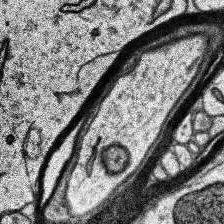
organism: Human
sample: Temporal Lobe